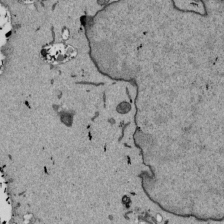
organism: Mouse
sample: ED-1 cell nuclei; centrioles